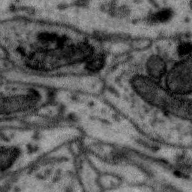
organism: Zebra finch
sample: Brain